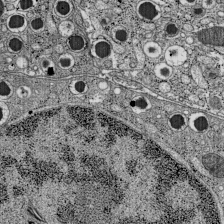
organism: C57BL Mouse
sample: Pancreatic islet